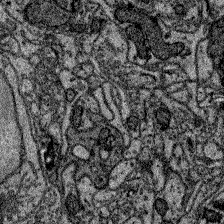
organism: Zebrafish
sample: Larval olfactory bulb